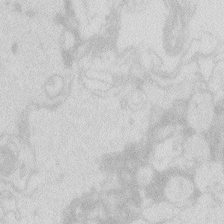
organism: Zebrafish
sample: Macrophage